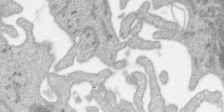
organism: Human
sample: Lung epithelial cells infected with SARS-CoV-2